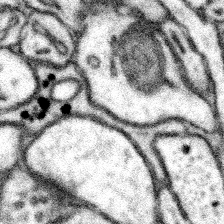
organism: Mouse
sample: Somatosensory cortex neuropil